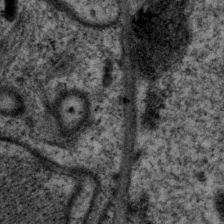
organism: P. pacificus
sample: Pharynx